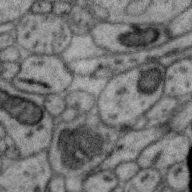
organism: Zebra finch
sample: Brain